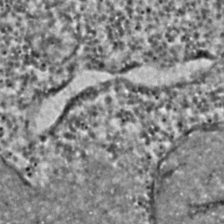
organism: C. elegans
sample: C. elegans embryo